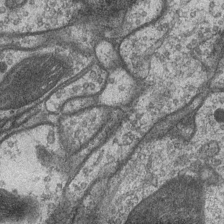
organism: Drosophila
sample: Optic medulla